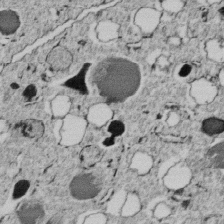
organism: C. elegans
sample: C. elegans embryo early stage